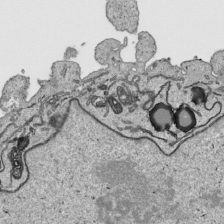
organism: Human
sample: Mitochondria in HCT116 cells